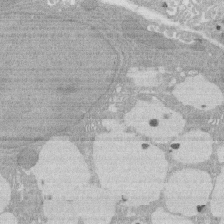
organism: Rat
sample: Salivary granule